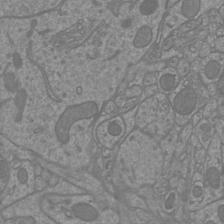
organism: Mouse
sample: Cortical neurons